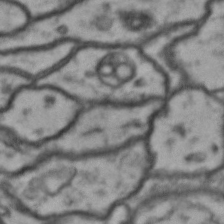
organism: Drosophila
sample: Brain